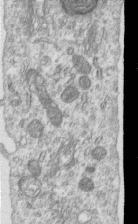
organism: Human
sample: Centriole in RPE cells